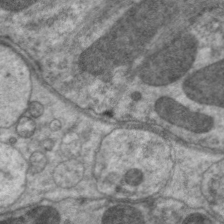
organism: C. elegans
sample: Pharynx